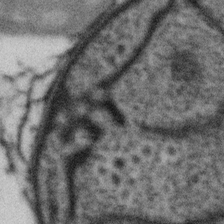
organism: Gemmata obscuriglobus